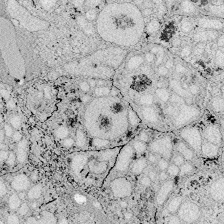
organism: Zebrafish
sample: Whole-Brain